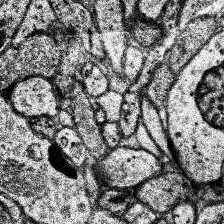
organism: Human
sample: Temporal Lobe